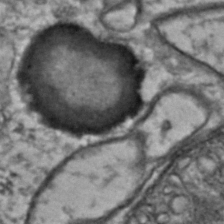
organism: Drosophila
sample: Brain